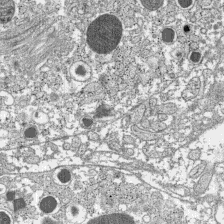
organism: C57BL Mouse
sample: Pancreatic islet